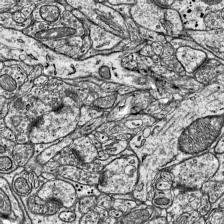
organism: Mouse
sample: Visual Cortex